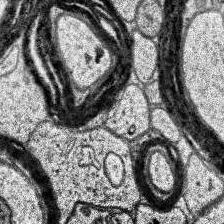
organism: Human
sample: Temporal Lobe